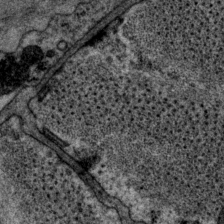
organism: P. pacificus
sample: Pharynx